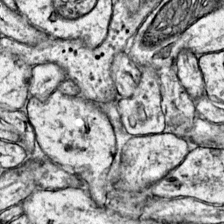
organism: Mouse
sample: Primary visual cortex